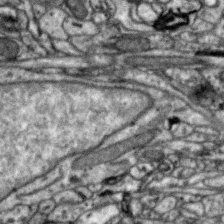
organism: Zebra finch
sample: Brain